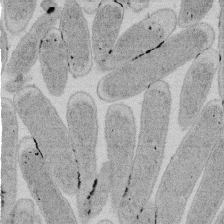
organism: E. coli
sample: Bacterial nucleoid